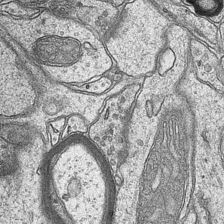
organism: Mouse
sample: CA1 Hippocampus